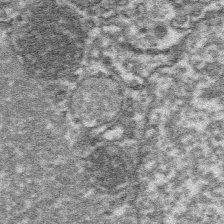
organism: Platynereis dumerilii